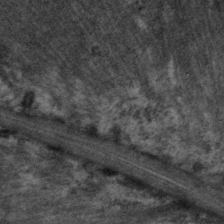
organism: C. elegans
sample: Pharynx